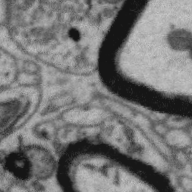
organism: Zebra finch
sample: Brain